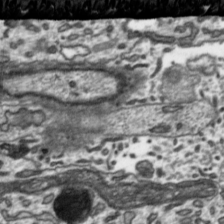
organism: Toxoplasma gondii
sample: Parasites in a vacuole inside a host cell